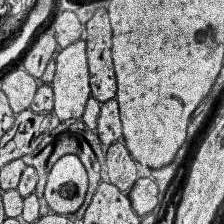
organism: Human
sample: Temporal Lobe